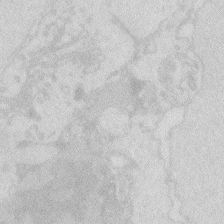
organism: Zebrafish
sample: Macrophage